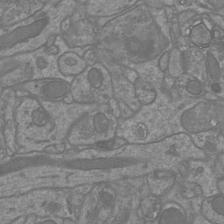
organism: Mouse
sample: Cortical neurons